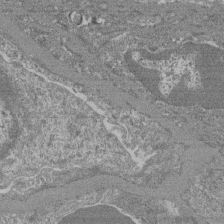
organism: Mouse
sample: Glomerulus